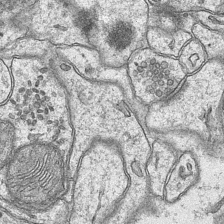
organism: Mouse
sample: CA1 Hippocampus